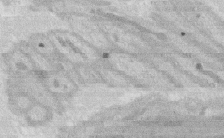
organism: Rat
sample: Salivary granule